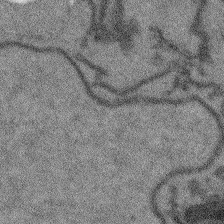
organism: Arabidopsis thaliana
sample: Root tip